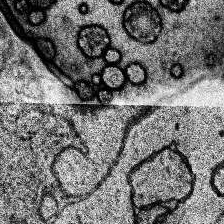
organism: Human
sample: Temporal Lobe